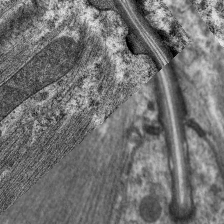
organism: C. elegans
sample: Pharynx